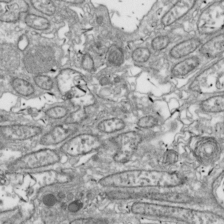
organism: Drosophila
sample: Cell division; meiosis; drosophila spermatocytes